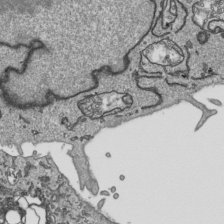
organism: Human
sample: Mitochondria in HCT116 cells